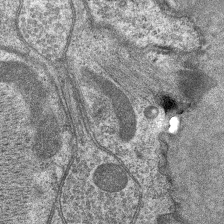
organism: C. elegans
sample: Pharynx